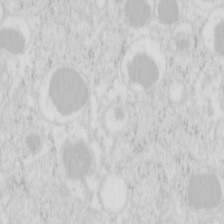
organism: Mouse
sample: Pancreas